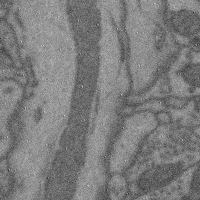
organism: Mouse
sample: Cerebral cortex